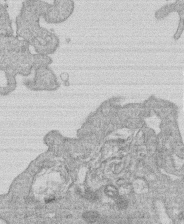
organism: Human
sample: Macrophage cells